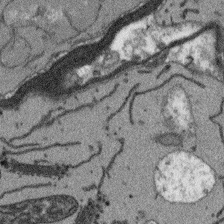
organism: Arabidopsis thaliana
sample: Root tip